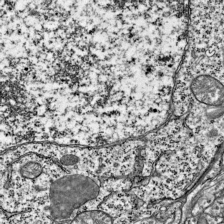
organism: Mouse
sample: Visual Cortex